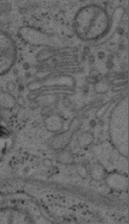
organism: Human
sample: HeLa cells